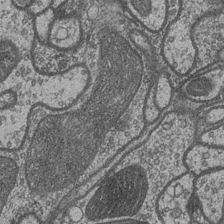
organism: Drosophila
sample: Optic medulla